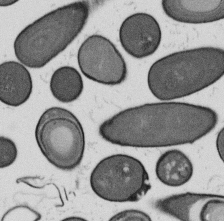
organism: B. subtilis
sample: Bacterial spore